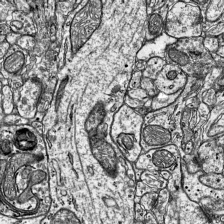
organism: Mouse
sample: Visual Cortex